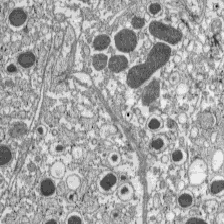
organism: C57BL Mouse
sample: Pancreatic islet